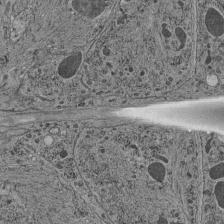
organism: C. elegans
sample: C. elegans pharynx